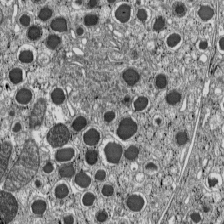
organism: C57BL Mouse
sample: Pancreatic islet